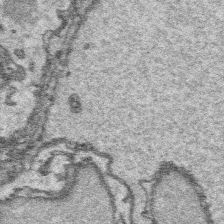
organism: Platynereis dumerilii